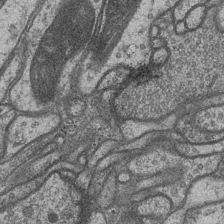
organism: Drosophila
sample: Optic medulla